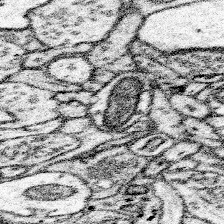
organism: Mouse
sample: Somatosensory cortex neuropil